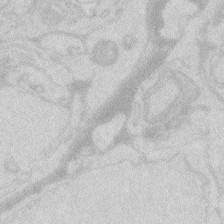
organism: Zebrafish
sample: Macrophage